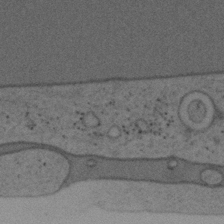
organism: Human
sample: HeLa cells